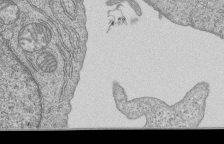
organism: Human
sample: MDA-MB-231 cells